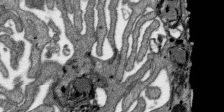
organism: Human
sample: Lung epithelial cells, uninfected (mock) control